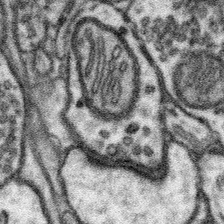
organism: Mouse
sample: Somatosensory cortex neuropil